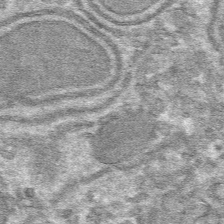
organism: Mouse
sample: Mouse hepatocytes